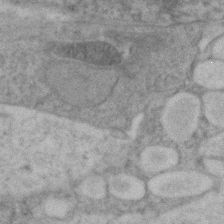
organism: Zebrafish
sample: Zebrafish embryo